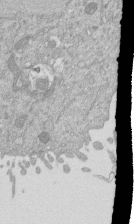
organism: Mouse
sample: ED-1 cell nuclei; centrioles